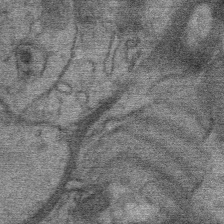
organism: Mouse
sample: Mouse Salivary gland